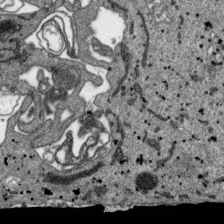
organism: Human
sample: Lung epithelial cells, uninfected (mock) control